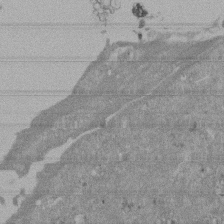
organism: Mouse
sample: ED-1 cell nuclei; centrioles